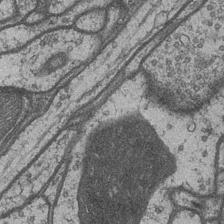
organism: Drosophila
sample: Optic medulla